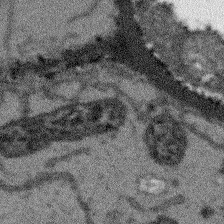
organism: Arabidopsis thaliana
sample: Root tip